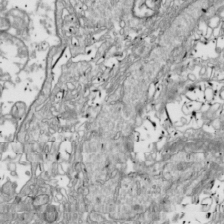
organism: Drosophila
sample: Cell division; meiosis; drosophila spermatocytes